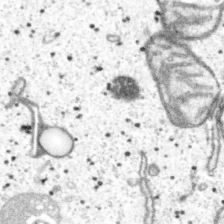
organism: Human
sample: HeLa cells